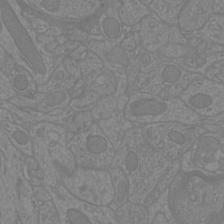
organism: Mouse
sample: Cortical neurons